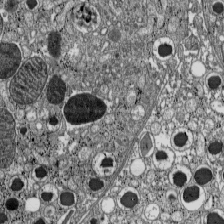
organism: C57BL Mouse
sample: Pancreatic islet